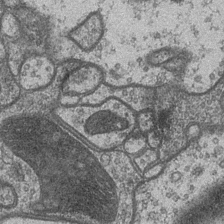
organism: Drosophila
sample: Optic medulla